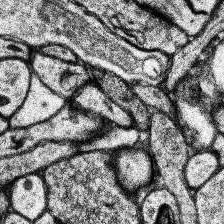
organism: Human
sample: Temporal Lobe